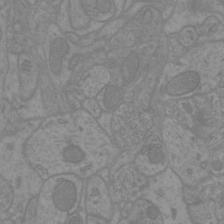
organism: Mouse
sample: Cortical neurons